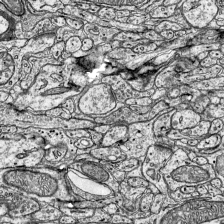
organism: Mouse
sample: Visual Cortex